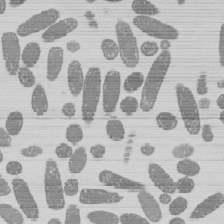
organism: E. coli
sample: Bacterial nucleoid